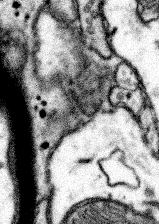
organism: Mouse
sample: Somatosensory cortex neuropil